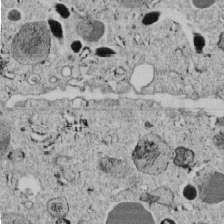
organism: C. elegans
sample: C. elegans embryo early stage